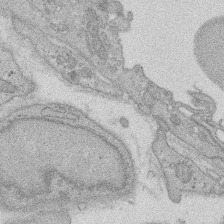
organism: Rat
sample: Salivary granule